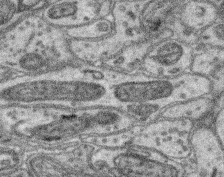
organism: Mouse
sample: Retina